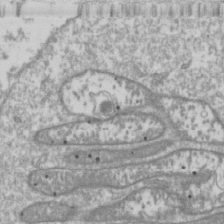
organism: Drosophila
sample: Cell division; meiosis; drosophila spermatocytes